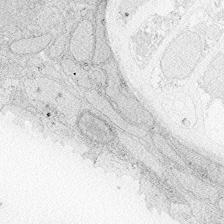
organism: Zebrafish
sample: Whole-Brain